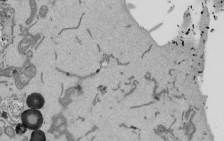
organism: Mouse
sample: ED-1 cell nuclei; centrioles